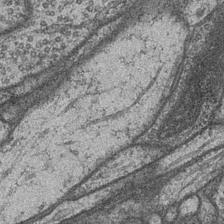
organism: Drosophila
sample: Optic medulla